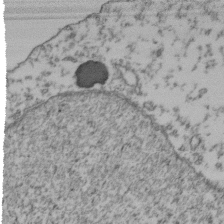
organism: Human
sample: Activated Jurkat CD4+ T cells